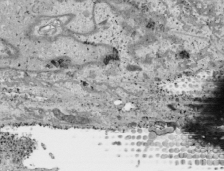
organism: Human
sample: Mitochondria in HCT116 cells